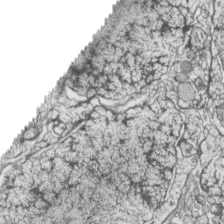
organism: Zebrafish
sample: synaptic ribbons in rod cells and cone cells